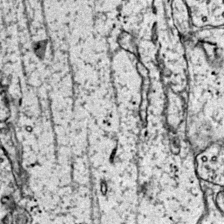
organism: Mouse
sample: Primary visual cortex